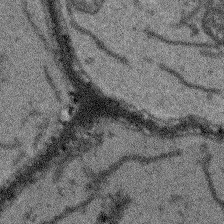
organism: Arabidopsis thaliana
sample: Root tip